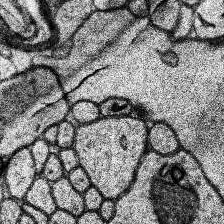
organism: Human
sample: Temporal Lobe